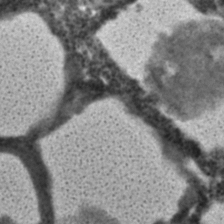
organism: C. elegans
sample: C. elegans embryo